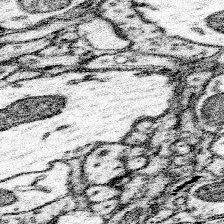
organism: Mouse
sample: Somatosensory cortex neuropil